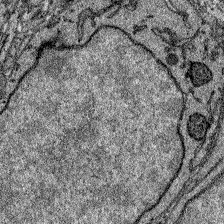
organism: Zebrafish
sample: Larval olfactory bulb